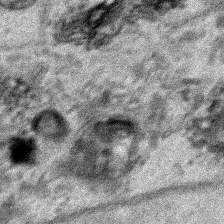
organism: Human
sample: Mitochondria in HCT116 cells